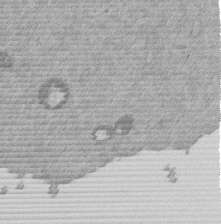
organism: Mouse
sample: Dividing mouse embryo 1 cell stage